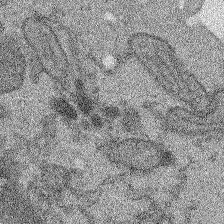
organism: Human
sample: HeLa cells